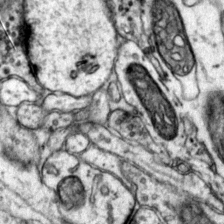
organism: Mouse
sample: Primary visual cortex